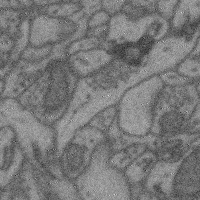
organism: Mouse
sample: Cerebral cortex